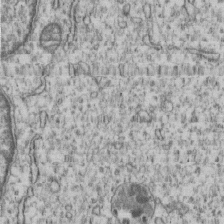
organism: Human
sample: MDA-MB-231 cells